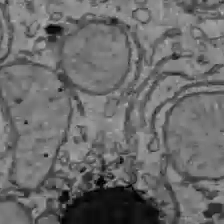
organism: C57BL Mouse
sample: Liver